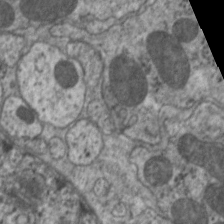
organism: C. elegans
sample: Pharynx